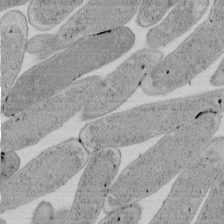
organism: E. coli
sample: Bacterial nucleoid